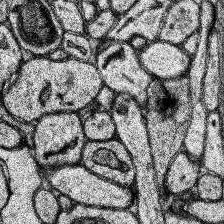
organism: Human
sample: Temporal Lobe